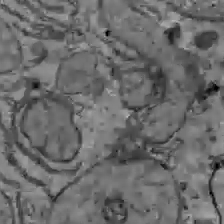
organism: C57BL Mouse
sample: Liver